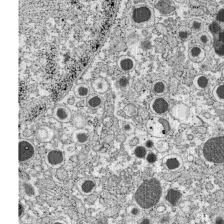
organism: C57BL Mouse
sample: Pancreatic islet